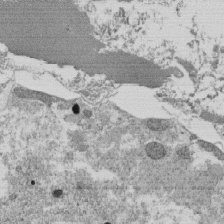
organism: Tetrahymena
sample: Cilia in tetrahymena